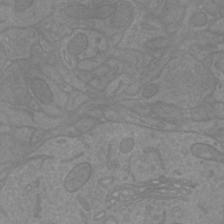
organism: Mouse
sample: Cortical neurons